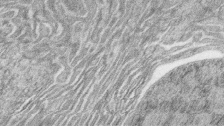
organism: Zebrafish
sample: synaptic ribbons in rod cells and cone cells